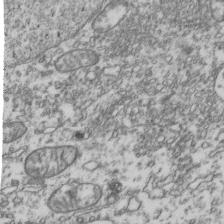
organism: Human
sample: Activated Jurkat CD4+ T cells